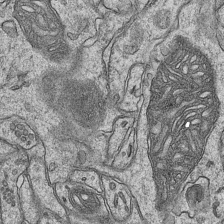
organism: Mouse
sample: CA1 Hippocampus